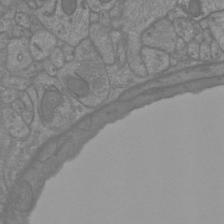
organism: Mouse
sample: Cortical neurons